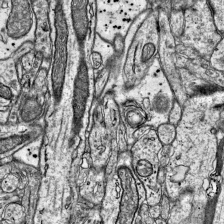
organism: Mouse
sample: Visual Cortex